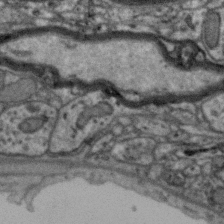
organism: Zebra finch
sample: Brain